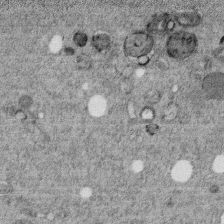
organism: C. elegans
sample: C. elegans embryo early stage